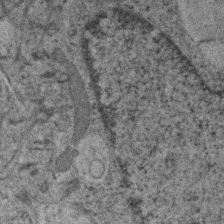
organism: Human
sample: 1205lu cells